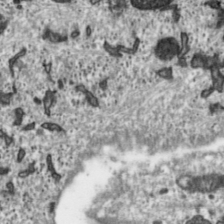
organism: Toxoplasma gondii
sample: Parasites in a vacuole inside a host cell